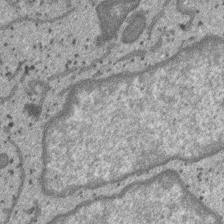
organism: Human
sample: Lung epithelial cells infected with SARS-CoV-2